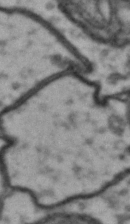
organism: Drosophila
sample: Brain